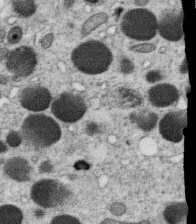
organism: C. elegans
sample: C. elegans oocyte; sperm cells